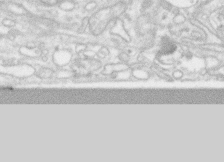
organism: Human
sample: CRL-1474